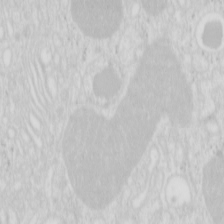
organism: Mouse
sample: Pancreas